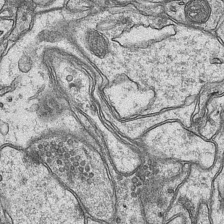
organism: Mouse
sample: CA1 Hippocampus